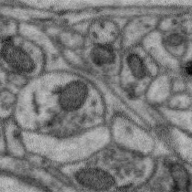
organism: Zebra finch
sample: Brain